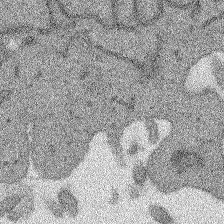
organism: Human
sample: HeLa cells